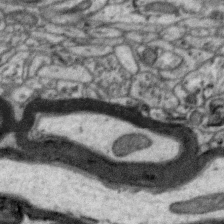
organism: Zebra finch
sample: Brain